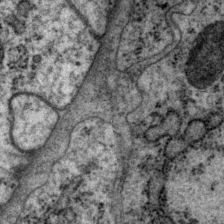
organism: P. pacificus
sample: Pharynx